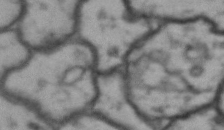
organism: Drosophila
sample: Brain